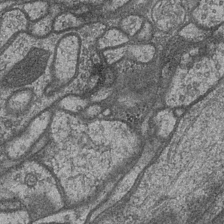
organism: Drosophila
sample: Optic medulla